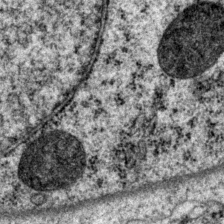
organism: P. pacificus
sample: Pharynx